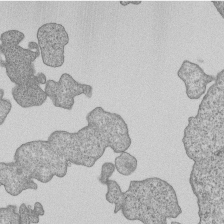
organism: Human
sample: MDA-MB-231 cells